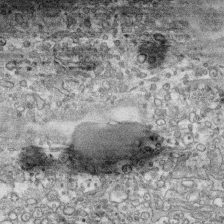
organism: Human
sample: CRL-1474